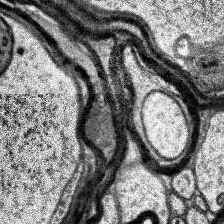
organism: Human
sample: Temporal Lobe